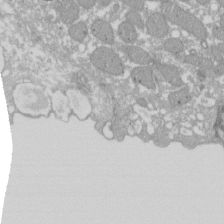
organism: Xenopus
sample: Cilia; centrioles in frog embryo cells